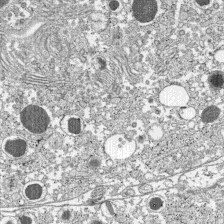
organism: C57BL Mouse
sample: Pancreatic islet